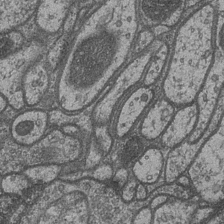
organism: Drosophila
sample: Optic medulla